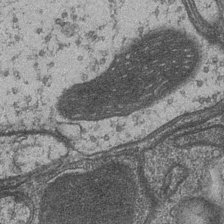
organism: Drosophila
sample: Optic medulla